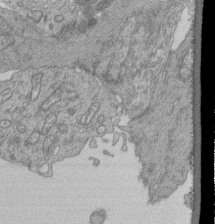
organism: Human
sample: Retinal organoid Rod and Cone cells